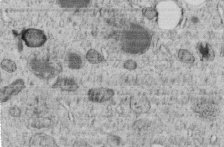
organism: C. elegans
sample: C. elegans embryo early stage